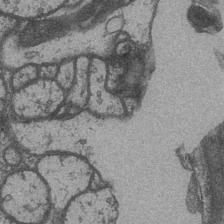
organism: Drosophila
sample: Optic medulla